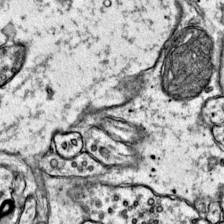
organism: Mouse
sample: Primary visual cortex